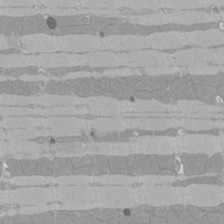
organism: Rat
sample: Left ventricle